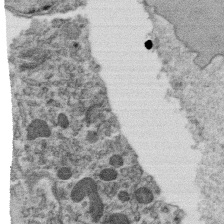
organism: C. elegans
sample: C. elegans oocyte; sperm cells